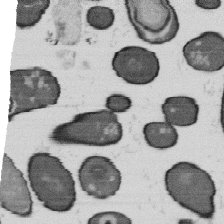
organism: B. subtilis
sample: Bacterial spore